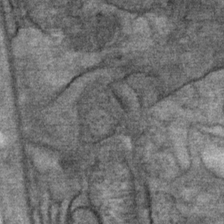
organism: Mouse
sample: Mouse Salivary gland